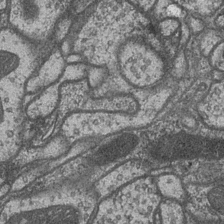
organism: Drosophila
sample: Optic medulla